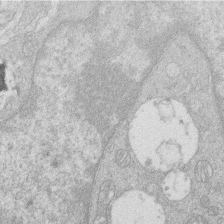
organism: Human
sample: Macrophage cells